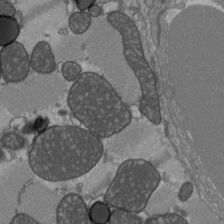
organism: C57BL Mouse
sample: Heart